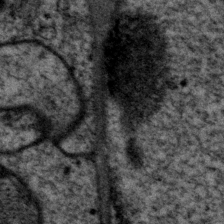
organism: P. pacificus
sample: Pharynx